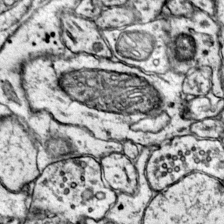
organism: Mouse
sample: Primary visual cortex